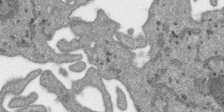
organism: Human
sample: Lung epithelial cells infected with SARS-CoV-2